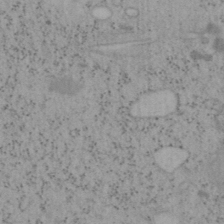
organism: Mouse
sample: OT-I killer T cells with ID8 ovarian cancer cells